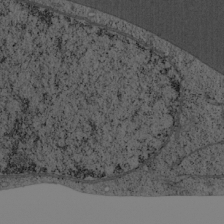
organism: African green monkey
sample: COS-7 cells